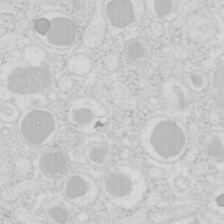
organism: Mouse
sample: Pancreas